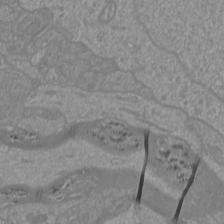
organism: Mouse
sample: Cortical neurons